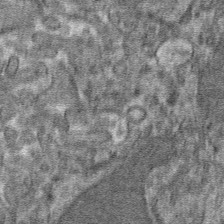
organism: Mouse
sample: Mouse hepatocytes